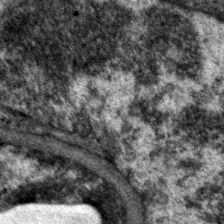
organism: P. pacificus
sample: Pharynx